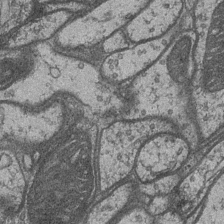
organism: Drosophila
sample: Optic medulla